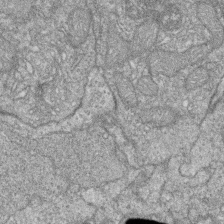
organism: Zebrafish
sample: Cilia; retinal pigment epithelium